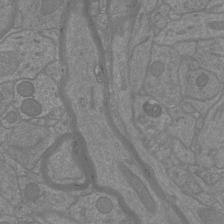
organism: Mouse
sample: Cortical neurons